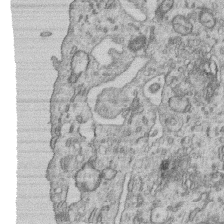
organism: Human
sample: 1205lu cells